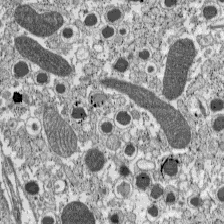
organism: C57BL Mouse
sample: Pancreatic islet